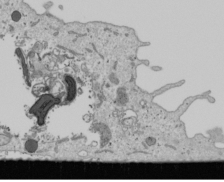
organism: Human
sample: Mitochondria in U2OS cells